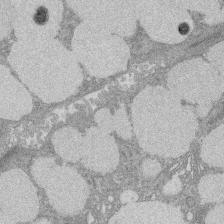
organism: Rat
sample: Salivary granule